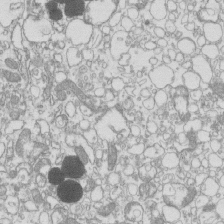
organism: Mouse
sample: Macrophages